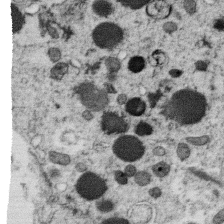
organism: C. elegans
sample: C. elegans oocyte; sperm cells